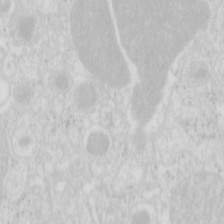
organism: Mouse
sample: Pancreas